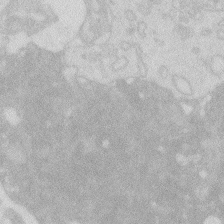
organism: Zebrafish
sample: Macrophage